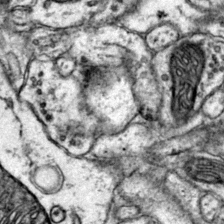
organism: Mouse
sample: Primary visual cortex